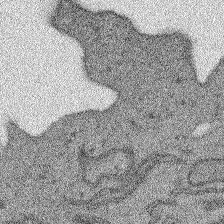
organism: Human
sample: HeLa cells